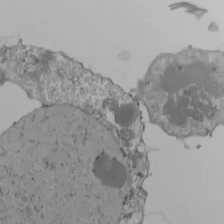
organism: Human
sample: Jurkat E6-1 and CD4 cells